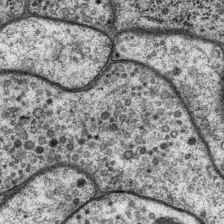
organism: P. pacificus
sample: Pharynx